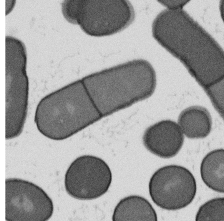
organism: B. subtilis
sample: Bacterial spore